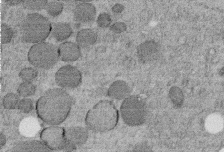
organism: C. elegans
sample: C. elegans embryo early stage